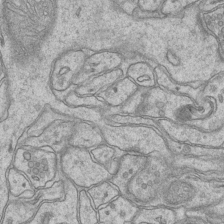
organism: Mouse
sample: CA1 Hippocampus